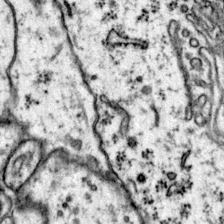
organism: Mouse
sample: Primary visual cortex